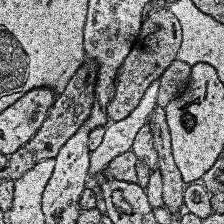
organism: Human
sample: Temporal Lobe